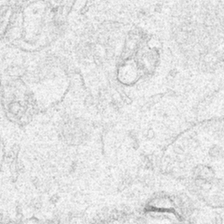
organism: Human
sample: Mitochondria in HCT116 cells